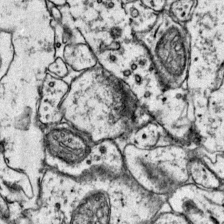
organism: Mouse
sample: Primary visual cortex